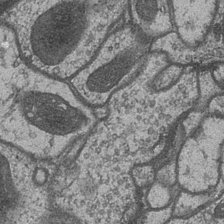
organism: Drosophila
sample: Optic medulla